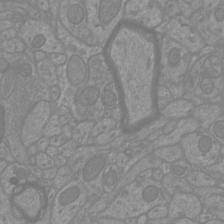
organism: Mouse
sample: Cortical neurons